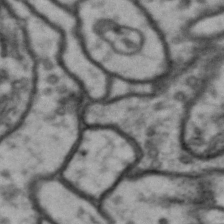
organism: Drosophila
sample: Brain